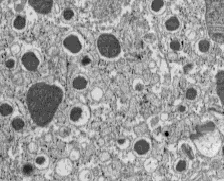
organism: C57BL Mouse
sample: Pancreatic islet